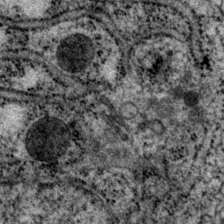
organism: P. pacificus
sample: Pharynx